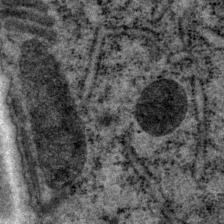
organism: P. pacificus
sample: Pharynx